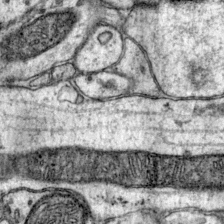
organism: Mouse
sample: Primary visual cortex